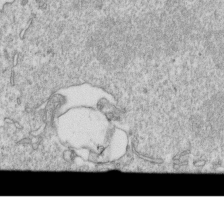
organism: Mouse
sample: Activated OT-1 CD8+ T cells